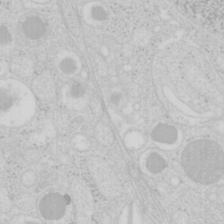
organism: Mouse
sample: Pancreas